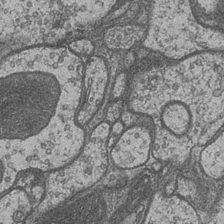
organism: Drosophila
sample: Optic medulla